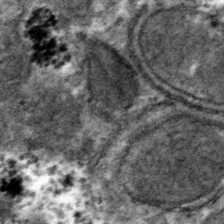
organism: Mouse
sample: Mouse hepatocytes